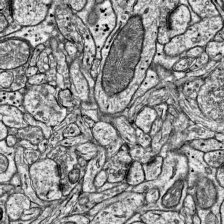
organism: Mouse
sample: Visual Cortex